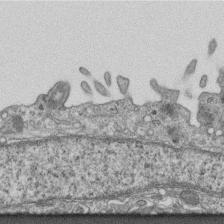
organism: Mouse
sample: Centriole in ependymal cells